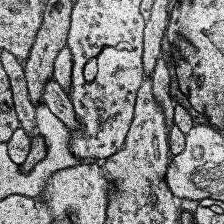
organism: Human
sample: Temporal Lobe